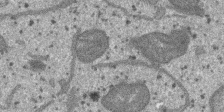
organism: Human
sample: Lung epithelial cells infected with SARS-CoV-2